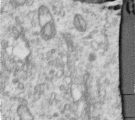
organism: Human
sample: Centriole in RPE cells